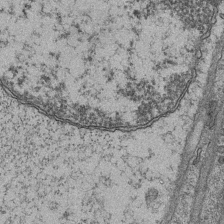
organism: Mouse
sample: CA1 Hippocampus